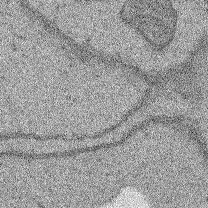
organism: Human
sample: HeLa cells